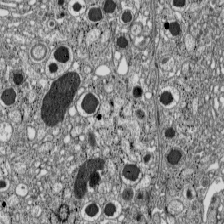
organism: C57BL Mouse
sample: Pancreatic islet